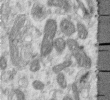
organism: Human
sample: Centriole in RPE cells